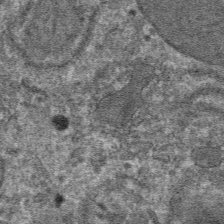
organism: Mouse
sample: Mouse hepatocytes